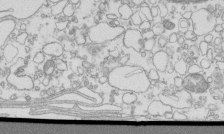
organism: Mouse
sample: Macrophages